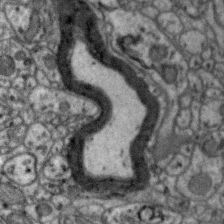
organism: Zebra finch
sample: Brain